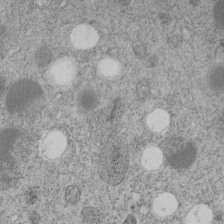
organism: C. elegans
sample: C. elegans embryo early stage